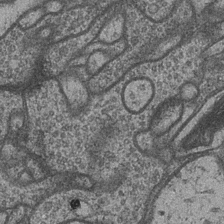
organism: Drosophila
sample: Optic medulla